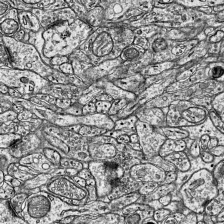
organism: Mouse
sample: Visual Cortex